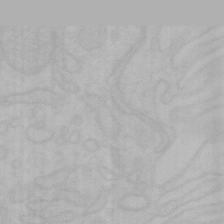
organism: Mouse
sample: Choroid plexus